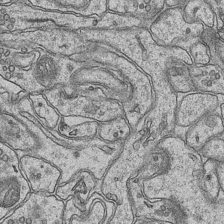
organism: Mouse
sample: CA1 Hippocampus